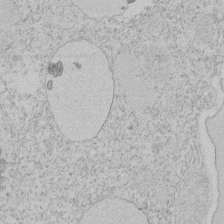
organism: Tetrahymena